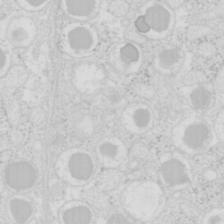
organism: Mouse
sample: Pancreas